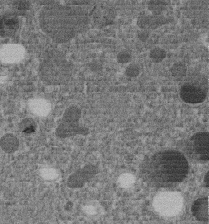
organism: C. elegans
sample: C. elegans embryo early stage